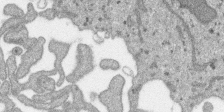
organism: Human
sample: Lung epithelial cells infected with SARS-CoV-2